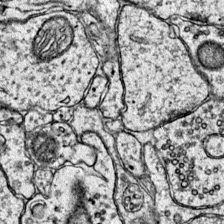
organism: Mouse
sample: Primary visual cortex